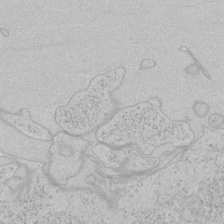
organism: Human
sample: Mitochondria in HCT116 cells